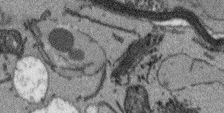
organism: Arabidopsis thaliana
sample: Root tip